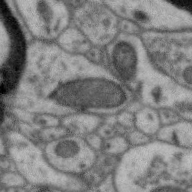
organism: Zebra finch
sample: Brain